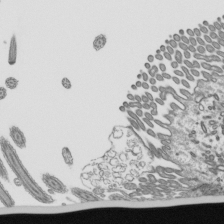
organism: Mouse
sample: Mouse epididymis efferent ductule cilia